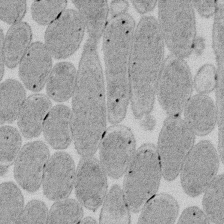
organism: E. coli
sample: Bacterial nucleoid